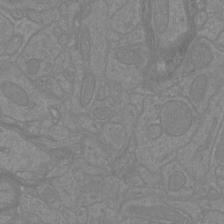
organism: Mouse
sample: Cortical neurons